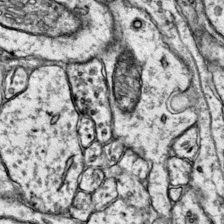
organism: Mouse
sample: Primary visual cortex